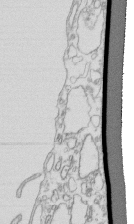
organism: Mouse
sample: Macrophages